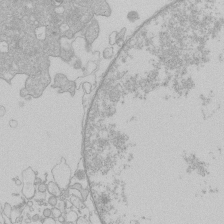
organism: Human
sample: Macrophage cells